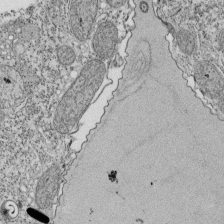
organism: Tetrahymena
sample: Cilia in tetrahymena